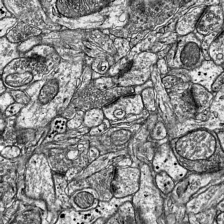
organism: Mouse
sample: Visual Cortex